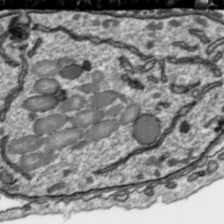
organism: Toxoplasma gondii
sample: Parasites in a vacuole inside a host cell